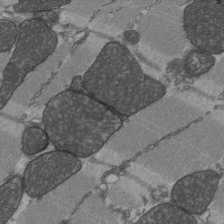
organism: C57BL Mouse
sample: Heart